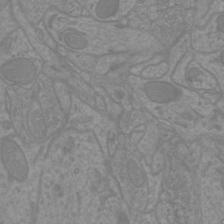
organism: Mouse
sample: Cortical neurons